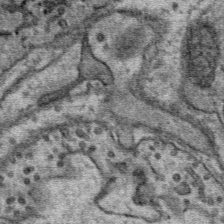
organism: Mouse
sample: Mouse Salivary gland